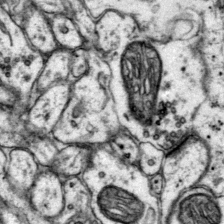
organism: Mouse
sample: Primary visual cortex